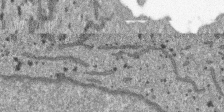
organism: Human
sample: Lung epithelial cells infected with SARS-CoV-2